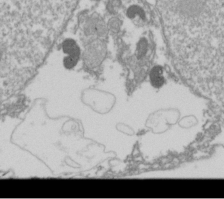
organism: Drosophila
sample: Cell division; meiosis; drosophila spermatocytes